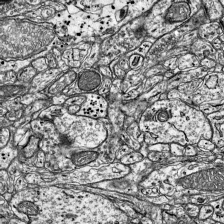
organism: Mouse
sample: Visual Cortex